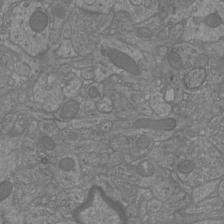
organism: Mouse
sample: Cortical neurons